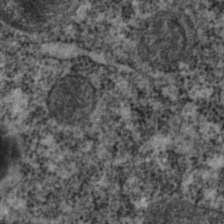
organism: C. elegans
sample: C. elegans embryo